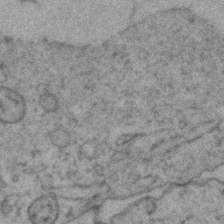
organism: Zebrafish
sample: Zebrafish embryo